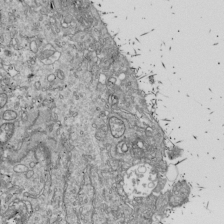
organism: Drosophila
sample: Cell division; meiosis; drosophila spermatocytes